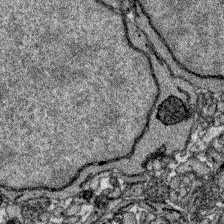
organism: Zebrafish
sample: Larval olfactory bulb